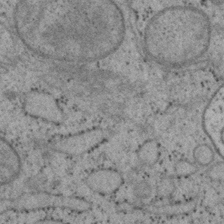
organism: Human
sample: HeLa cells